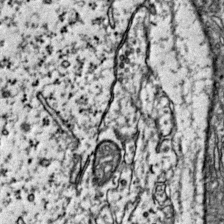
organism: Mouse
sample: Primary visual cortex